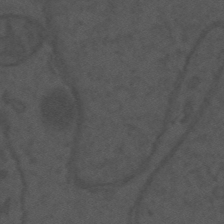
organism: Mouse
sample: Suprachiasmatic nucleus